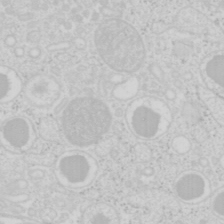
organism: Mouse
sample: Pancreas